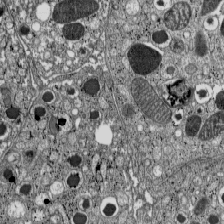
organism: C57BL Mouse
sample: Pancreatic islet